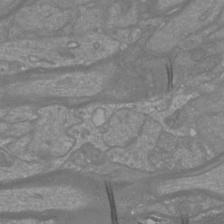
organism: Mouse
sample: Cortical neurons